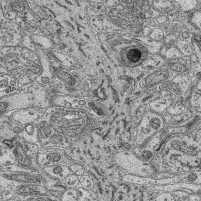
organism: Mouse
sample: Retina